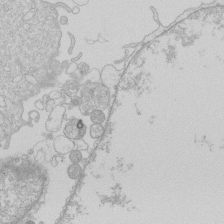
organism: Human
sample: Macrophage cells